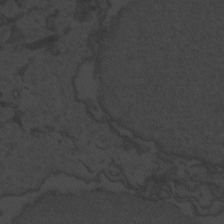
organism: Zebrafish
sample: Macrophage infected with Toxoplasma gondii